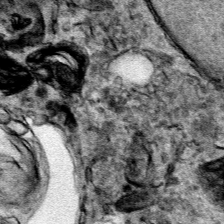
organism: Human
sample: Mitochondria in HCT116 cells